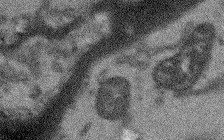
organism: Arabidopsis thaliana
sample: Root tip